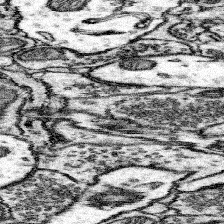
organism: Mouse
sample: Somatosensory cortex neuropil